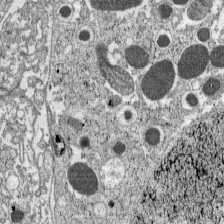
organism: C57BL Mouse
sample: Pancreatic islet